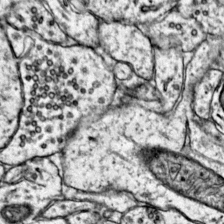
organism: Mouse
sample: Primary visual cortex